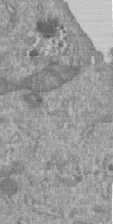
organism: Mouse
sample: ED-1 cell nuclei; centrioles